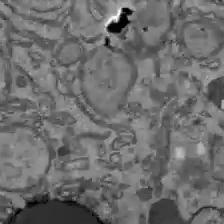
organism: C57BL Mouse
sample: Liver